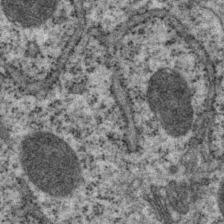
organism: P. pacificus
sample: Pharynx